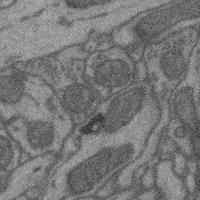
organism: Mouse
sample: Cerebral cortex